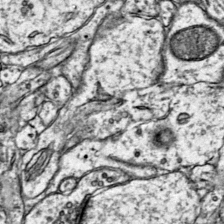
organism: Mouse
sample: Primary visual cortex